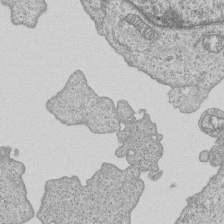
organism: Human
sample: MDA-MB-231 cells